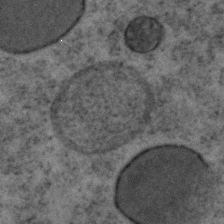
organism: C. elegans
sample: C. elegans embryo